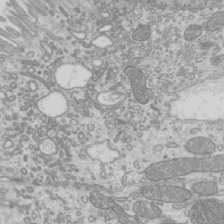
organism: Mouse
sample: Cilia; mouse epididymis